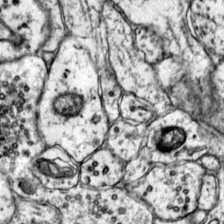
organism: Mouse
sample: Primary visual cortex